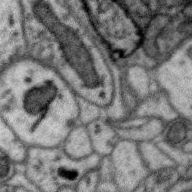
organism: Zebra finch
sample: Brain